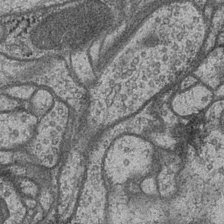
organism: Drosophila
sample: Optic medulla